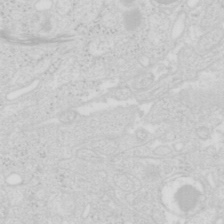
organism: Mouse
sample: Pancreas